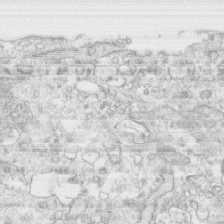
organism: Human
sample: CRL-1474